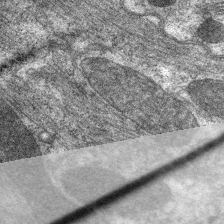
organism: C. elegans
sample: Pharynx